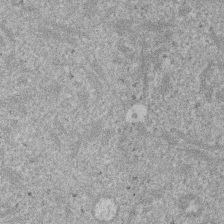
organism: Mouse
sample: Dividing mouse embryo 1 cell stage